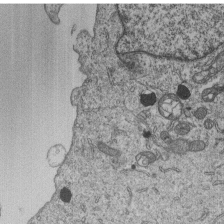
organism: Human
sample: MDA-MB-231 cells